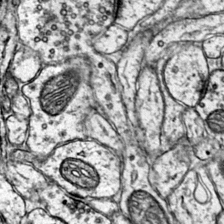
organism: Mouse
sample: Primary visual cortex